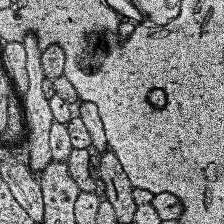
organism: Human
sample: Temporal Lobe